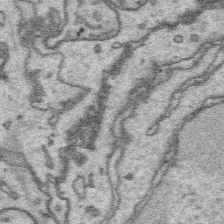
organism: Platynereis dumerilii